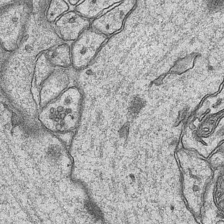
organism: Mouse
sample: CA1 Hippocampus